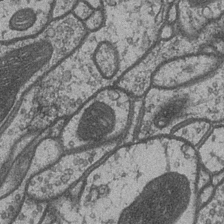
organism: Drosophila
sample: Optic medulla